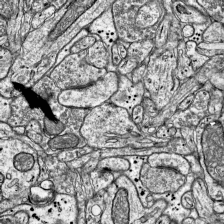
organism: Mouse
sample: Visual Cortex